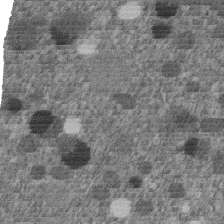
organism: C. elegans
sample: C. elegans embryo early stage